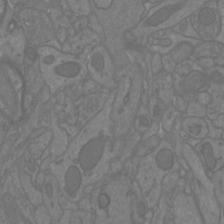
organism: Mouse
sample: Cortical neurons